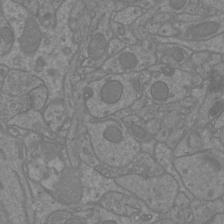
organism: Mouse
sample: Cortical neurons